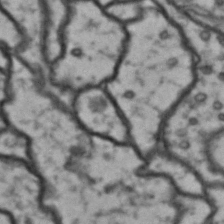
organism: Drosophila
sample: Brain